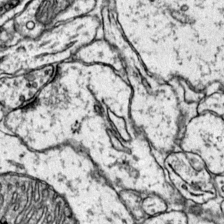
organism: Mouse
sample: Primary visual cortex